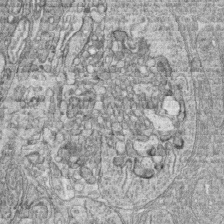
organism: Zebrafish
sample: synaptic ribbons in rod cells and cone cells